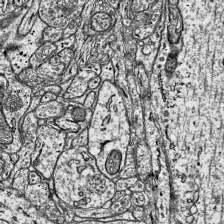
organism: Mouse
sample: Visual Cortex